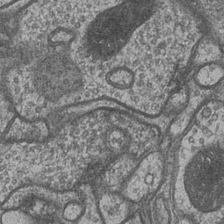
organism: Drosophila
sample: Optic medulla